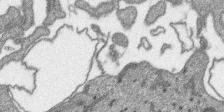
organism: Human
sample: Lung epithelial cells infected with SARS-CoV-2